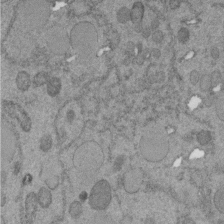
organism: C. elegans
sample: C. elegans embryo early stage